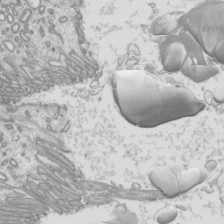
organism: Mouse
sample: Cilia; mouse epididymis